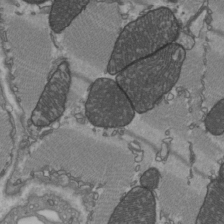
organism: C57BL Mouse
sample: Heart